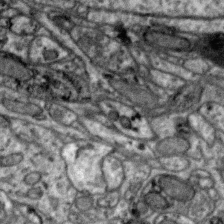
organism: Zebra finch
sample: Brain